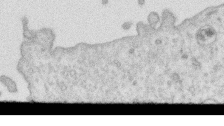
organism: Human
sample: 1205lu cells